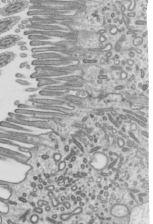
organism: Mouse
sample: Mouse epididymis efferent ductule cilia